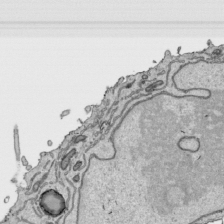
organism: Human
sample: Mitochondria in HCT116 cells